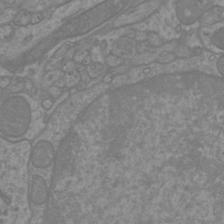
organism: Mouse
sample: Cortical neurons